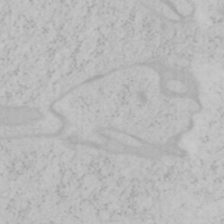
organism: Mouse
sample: OT-I killer T cells with ID8 ovarian cancer cells